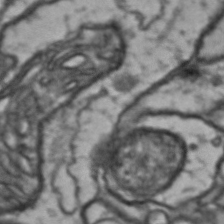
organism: Drosophila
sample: Brain